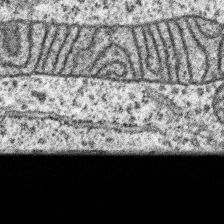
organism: Human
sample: HeLa cells